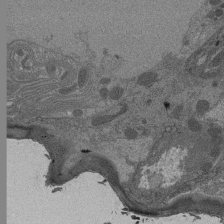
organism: Drosophila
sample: Antenna